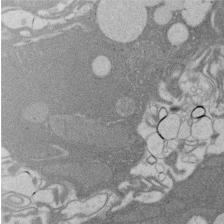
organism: Rat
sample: Salivary granule